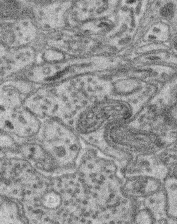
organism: Mouse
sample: Retina